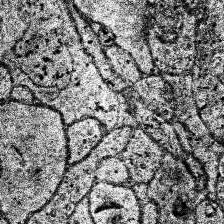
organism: Human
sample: Temporal Lobe